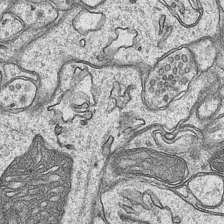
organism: Mouse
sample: CA1 Hippocampus